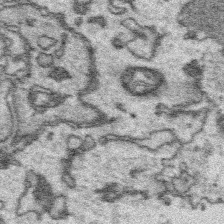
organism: Platynereis dumerilii